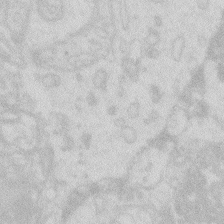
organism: Zebrafish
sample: Macrophage